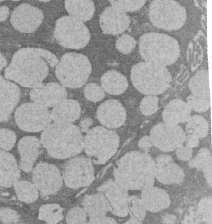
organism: Rat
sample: Salivary granule